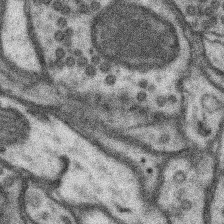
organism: Mouse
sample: Somatosensory cortex neuropil